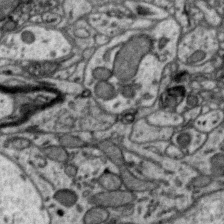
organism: Zebra finch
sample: Brain